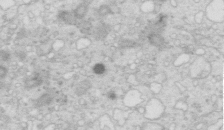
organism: Mouse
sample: Multiciliated cells